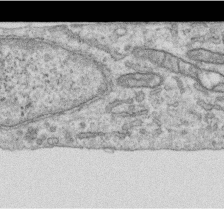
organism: Human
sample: Centriole in RPE cells